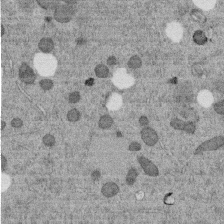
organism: C. elegans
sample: C. elegans embryo early stage